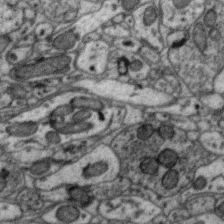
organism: Zebra finch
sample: Brain